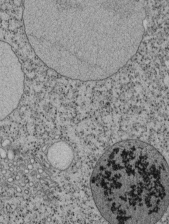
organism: Tetrahymena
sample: Cilia in tetrahymena